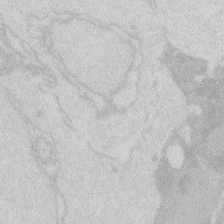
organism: Zebrafish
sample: Macrophage